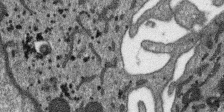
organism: Human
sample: Lung epithelial cells infected with SARS-CoV-2